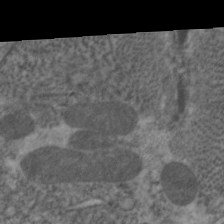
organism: C. elegans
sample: Pharynx